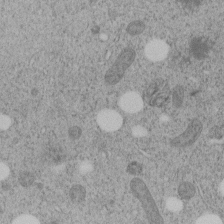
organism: C. elegans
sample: C. elegans embryo early stage